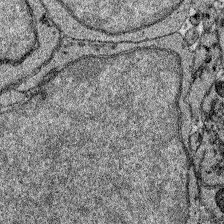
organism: Zebrafish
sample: Larval olfactory bulb